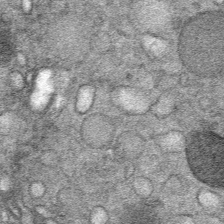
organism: Mouse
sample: Mouse Salivary gland